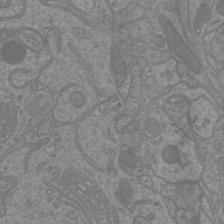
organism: Mouse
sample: Cortical neurons